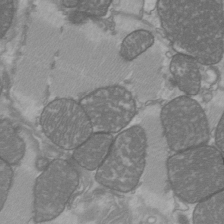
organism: C57BL Mouse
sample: Heart